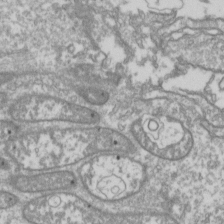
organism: Drosophila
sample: Cell division; meiosis; drosophila spermatocytes